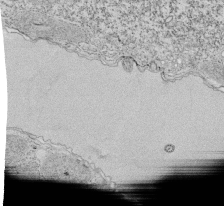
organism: Tetrahymena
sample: Cilia in tetrahymena